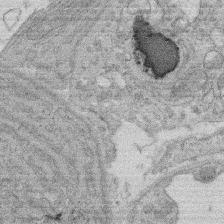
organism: Rat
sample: Salivary granule